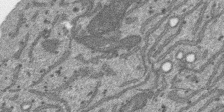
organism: Human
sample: Lung epithelial cells infected with SARS-CoV-2